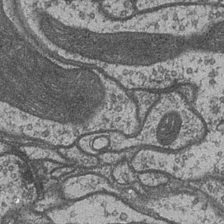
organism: Drosophila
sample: Optic medulla